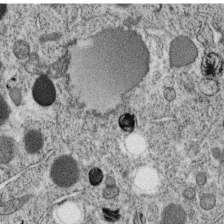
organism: C. elegans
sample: C. elegans oocyte; sperm cells